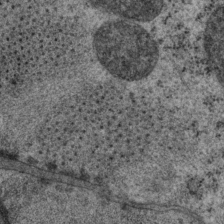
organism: P. pacificus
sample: Pharynx